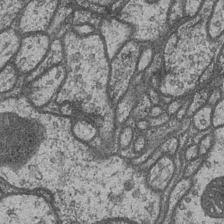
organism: Drosophila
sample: Optic medulla